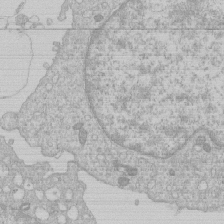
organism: Human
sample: Macrophage cells